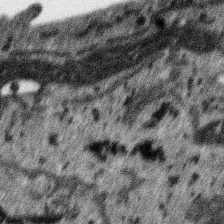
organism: Human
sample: Lung epithelial cells infected with SARS-CoV-2